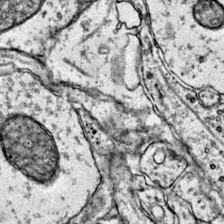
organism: Mouse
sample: Primary visual cortex